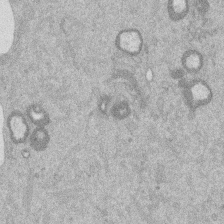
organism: Mouse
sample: Dividing mouse embryo 1 cell stage